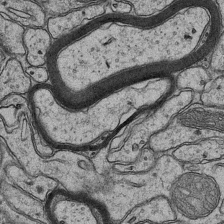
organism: Mouse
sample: CA1 Hippocampus